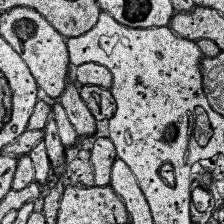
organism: Human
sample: Temporal Lobe